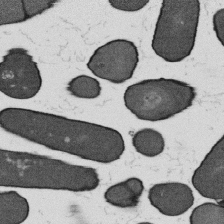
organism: B. subtilis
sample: Bacterial spore